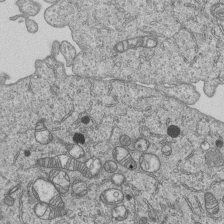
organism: Human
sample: MDA-MB-231 cells